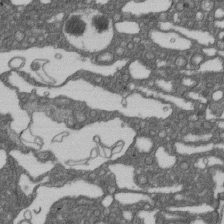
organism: Drosophila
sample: Nephrocyte